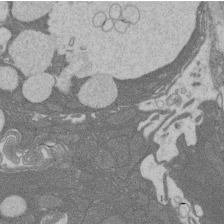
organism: Rat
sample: Salivary granule